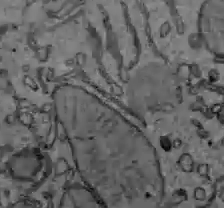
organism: C57BL Mouse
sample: Liver